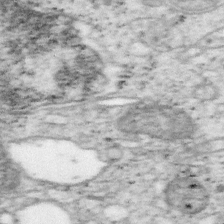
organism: Mouse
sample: OT-I killer T cells with ID8 ovarian cancer cells